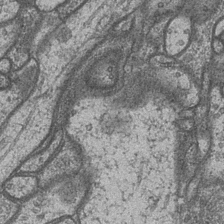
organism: Drosophila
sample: Optic medulla